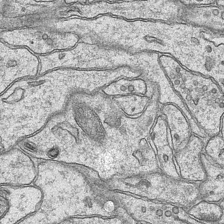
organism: Mouse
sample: CA1 Hippocampus